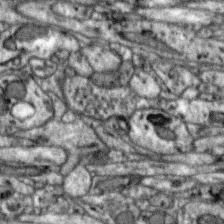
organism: Zebra finch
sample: Brain